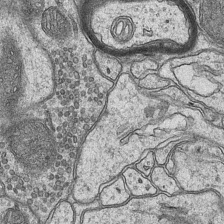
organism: Mouse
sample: CA1 Hippocampus